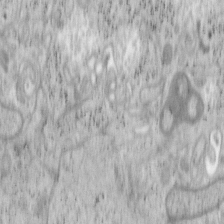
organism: Human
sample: HeLa cells